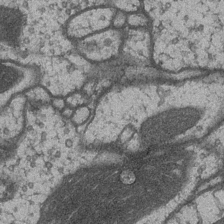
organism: Drosophila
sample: Optic medulla